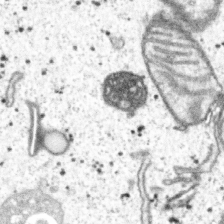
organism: Human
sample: HeLa cells